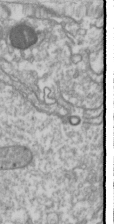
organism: Drosophila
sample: Cell division; meiosis; drosophila spermatocytes